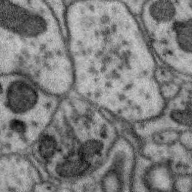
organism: Zebra finch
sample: Brain